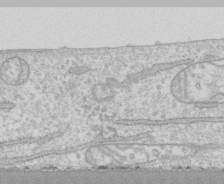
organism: Human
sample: CRL-1474